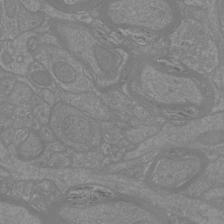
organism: Mouse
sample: Cortical neurons